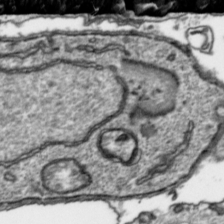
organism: Toxoplasma gondii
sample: Parasites in a vacuole inside a host cell